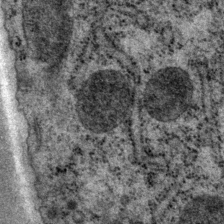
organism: P. pacificus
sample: Pharynx